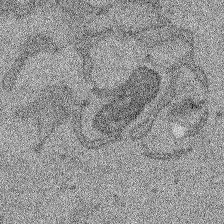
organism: Human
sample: HeLa cells